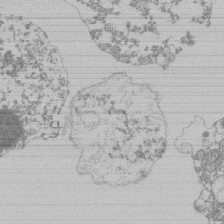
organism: Mouse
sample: Activated Pmel transgenic CD8+ T Cells